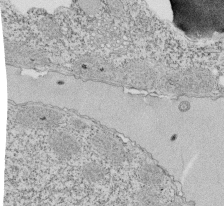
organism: Tetrahymena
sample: Cilia in tetrahymena